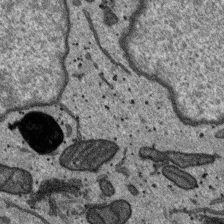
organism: Human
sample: Lung epithelial cells, uninfected (mock) control